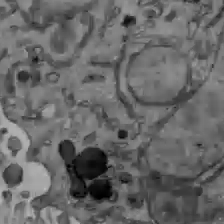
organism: C57BL Mouse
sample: Liver